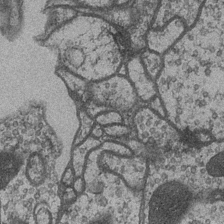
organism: Drosophila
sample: Optic medulla